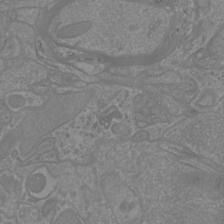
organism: Mouse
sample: Cortical neurons